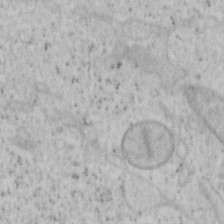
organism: Human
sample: HeLa cells